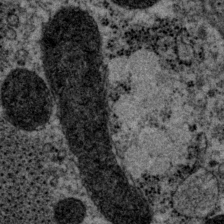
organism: P. pacificus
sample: Pharynx